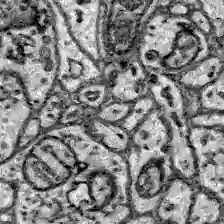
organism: Zebrafish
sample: Brain